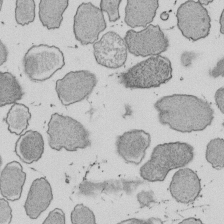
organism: E. coli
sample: Bacterial nucleoid